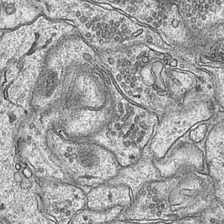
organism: Mouse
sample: CA1 Hippocampus